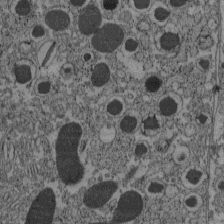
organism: C57BL Mouse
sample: Pancreatic islet